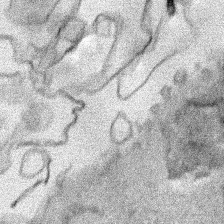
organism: Human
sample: Mitochondria in HCT116 cells